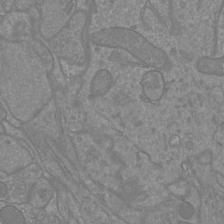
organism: Mouse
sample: Cortical neurons